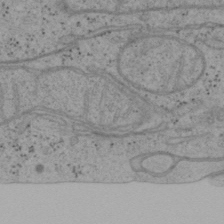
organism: Human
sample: HeLa cells